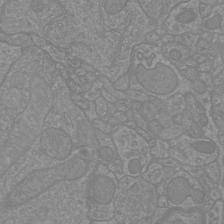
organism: Mouse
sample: Cortical neurons